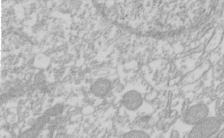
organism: Xenopus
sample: Cilia; centrioles in frog embryo cells